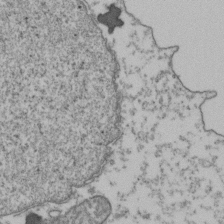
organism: Human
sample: Activated Jurkat CD4+ T cells